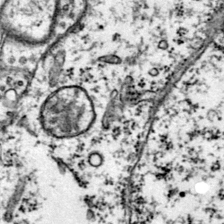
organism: Mouse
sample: Primary visual cortex